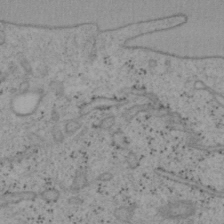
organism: Human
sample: HeLa cells